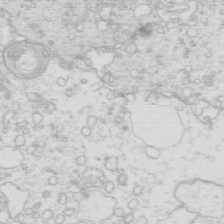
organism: Mouse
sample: Multiciliated cells